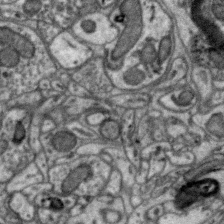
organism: Zebra finch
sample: Brain